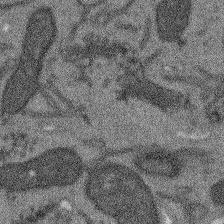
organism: Arabidopsis thaliana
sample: Root tip